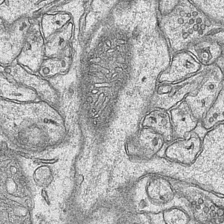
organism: Mouse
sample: CA1 Hippocampus